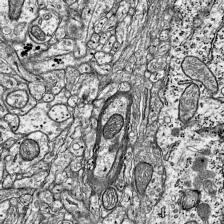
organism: Mouse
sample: Visual Cortex